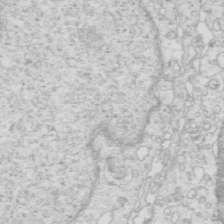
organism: Mouse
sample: Multiciliated cells